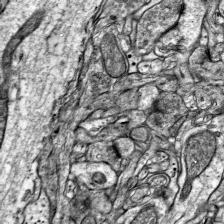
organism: Mouse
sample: Visual Cortex